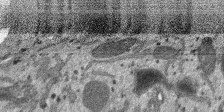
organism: Human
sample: Lung epithelial cells infected with SARS-CoV-2